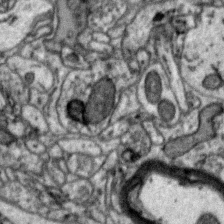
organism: Zebra finch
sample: Brain